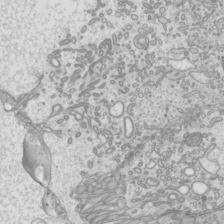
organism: Mouse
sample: Cilia; mouse epididymis